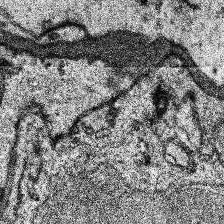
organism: Human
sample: Temporal Lobe